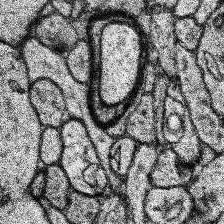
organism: Human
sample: Temporal Lobe